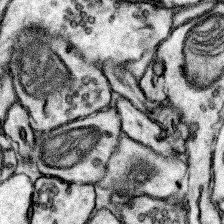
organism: Mouse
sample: Somatosensory cortex neuropil